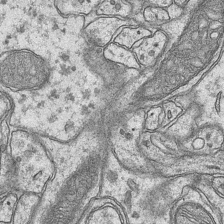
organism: Mouse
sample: CA1 Hippocampus